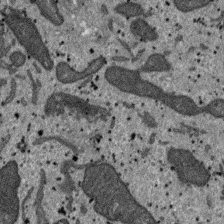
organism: Human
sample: Lung epithelial cells, uninfected (mock) control